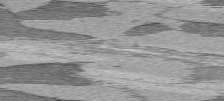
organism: C57BL Mouse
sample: Heart